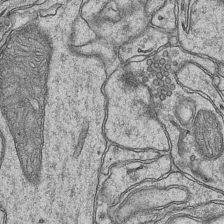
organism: Mouse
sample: CA1 Hippocampus